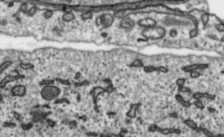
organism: Toxoplasma gondii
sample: Parasites in a vacuole inside a host cell